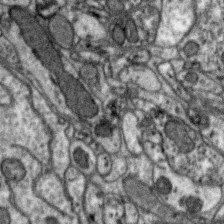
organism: Zebra finch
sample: Brain